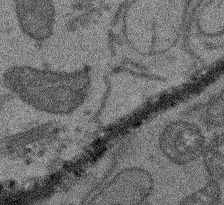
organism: Arabidopsis thaliana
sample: Root tip